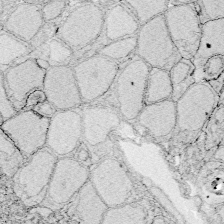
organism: Zebrafish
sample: Whole-Brain